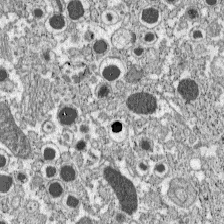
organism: C57BL Mouse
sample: Pancreatic islet